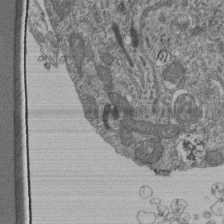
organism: Human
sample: Retinal organoid Rod and Cone cells